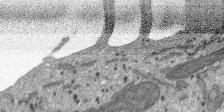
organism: Human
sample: Lung epithelial cells infected with SARS-CoV-2